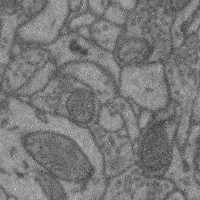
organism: Mouse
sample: Cerebral cortex